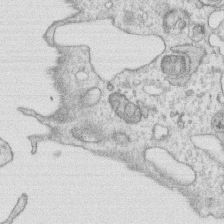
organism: Human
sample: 1205lu cells